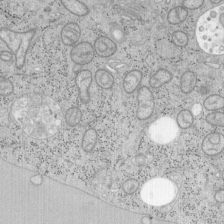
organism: Mouse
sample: OT-I killer T cells with ID8 ovarian cancer cells